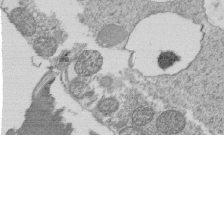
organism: Tetrahymena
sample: Cilia in tetrahymena